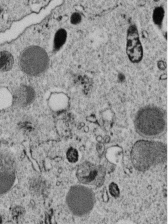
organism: C. elegans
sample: C. elegans embryo early stage